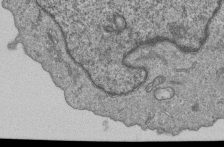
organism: Human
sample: MDA-MB-231 cells